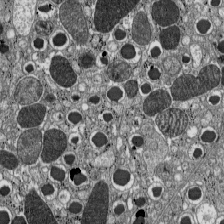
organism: C57BL Mouse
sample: Pancreatic islet